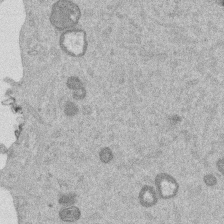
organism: Mouse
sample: Dividing mouse embryo 1 cell stage